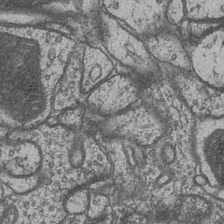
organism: Drosophila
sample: Optic medulla